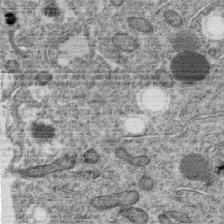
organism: C. elegans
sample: C. elegans oocyte; sperm cells